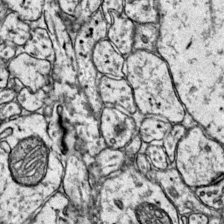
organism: Mouse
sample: Primary visual cortex